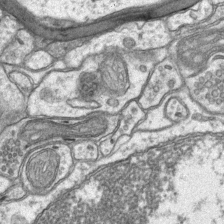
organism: Mouse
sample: CA1 Hippocampus